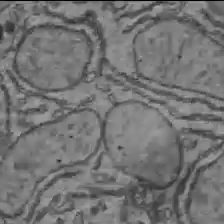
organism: C57BL Mouse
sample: Liver